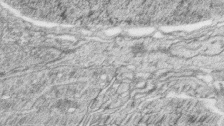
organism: Zebrafish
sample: synaptic ribbons in rod cells and cone cells